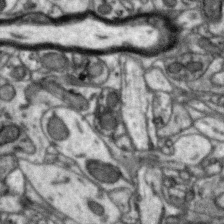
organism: Zebra finch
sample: Brain